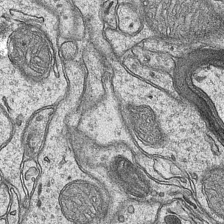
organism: Mouse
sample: CA1 Hippocampus